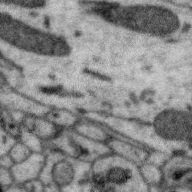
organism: Zebra finch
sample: Brain